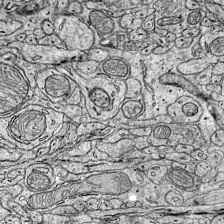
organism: Mouse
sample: Visual Cortex